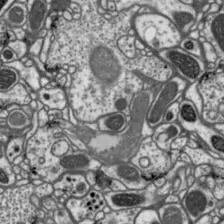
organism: Drosophila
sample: Protocerebral bridge